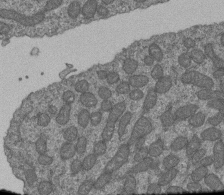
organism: Human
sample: Retinal organoid Rod and Cone cells